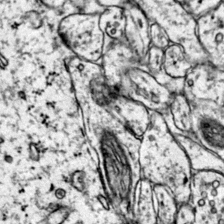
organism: Mouse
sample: Primary visual cortex